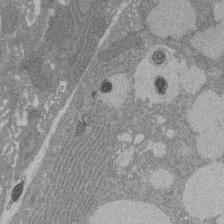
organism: Rat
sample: Salivary granule